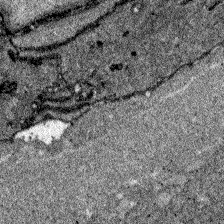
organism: Zebrafish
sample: Larval olfactory bulb